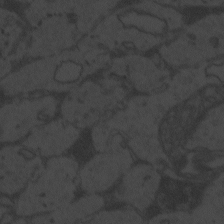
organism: Zebrafish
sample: Macrophage infected with Toxoplasma gondii